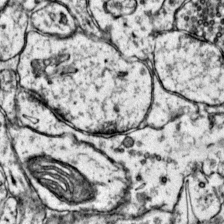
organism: Mouse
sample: Primary visual cortex